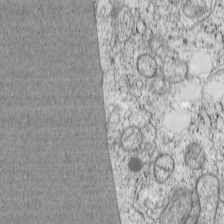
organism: African green monkey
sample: COS-7 cells